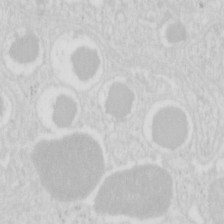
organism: Mouse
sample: Pancreas